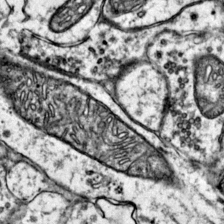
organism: Mouse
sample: Primary visual cortex